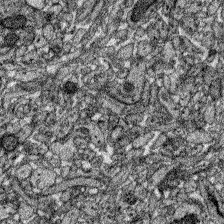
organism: Zebrafish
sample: Larval olfactory bulb